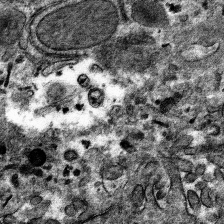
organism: Mouse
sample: Mouse hepatocytes